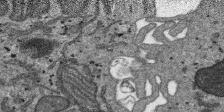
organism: Human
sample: Lung epithelial cells infected with SARS-CoV-2